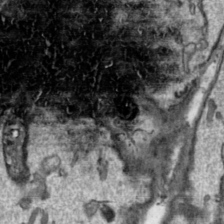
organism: Toxoplasma gondii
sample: Parasites in a vacuole inside a host cell